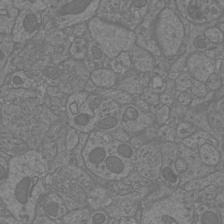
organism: Mouse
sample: Cortical neurons